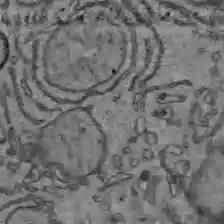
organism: C57BL Mouse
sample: Liver